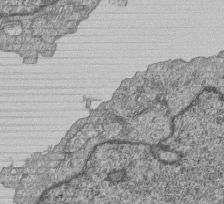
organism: Human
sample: MDA-MB-231 cells